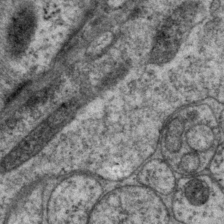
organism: P. pacificus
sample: Pharynx